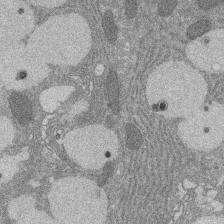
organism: Rat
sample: Salivary granule